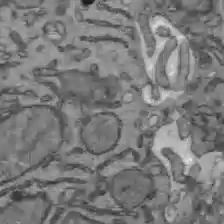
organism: C57BL Mouse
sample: Liver